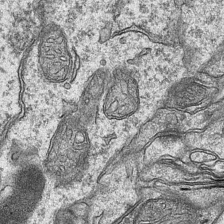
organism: Mouse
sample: CA1 Hippocampus